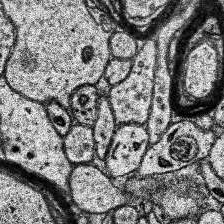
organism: Human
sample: Temporal Lobe